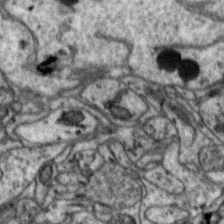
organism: Zebra finch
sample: Brain